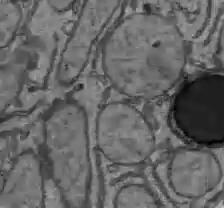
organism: C57BL Mouse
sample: Liver